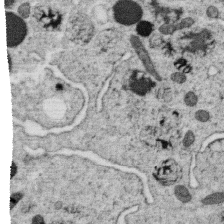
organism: C. elegans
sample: C. elegans oocyte; sperm cells